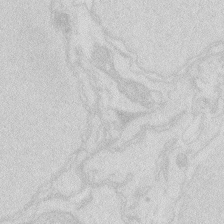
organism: Zebrafish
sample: Macrophage